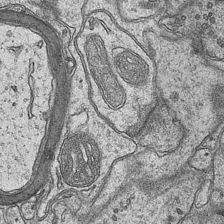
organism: Mouse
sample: CA1 Hippocampus